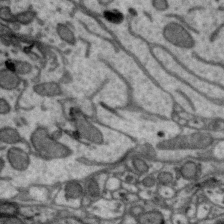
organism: Zebra finch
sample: Brain